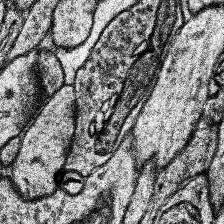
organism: Human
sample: Temporal Lobe